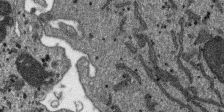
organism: Human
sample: Lung epithelial cells infected with SARS-CoV-2